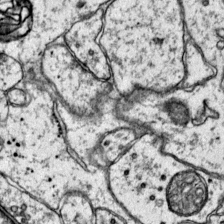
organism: Mouse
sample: Primary visual cortex